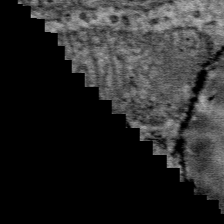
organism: Mouse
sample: Mouse Salivary gland